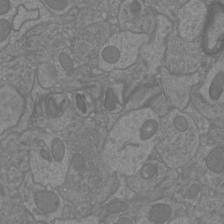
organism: Mouse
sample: Cortical neurons